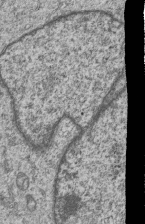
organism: Human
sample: MDA-MB-231 cells